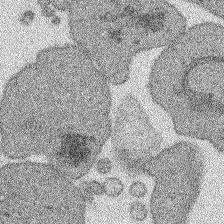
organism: Human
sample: HeLa cells